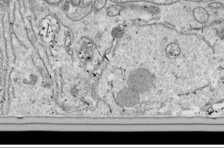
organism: Drosophila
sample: Cell division; meiosis; drosophila spermatocytes